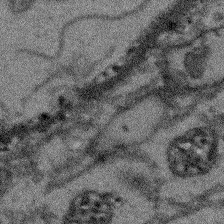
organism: Arabidopsis thaliana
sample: Root tip